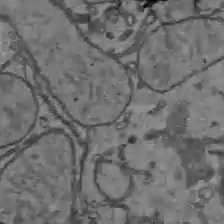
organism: C57BL Mouse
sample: Liver